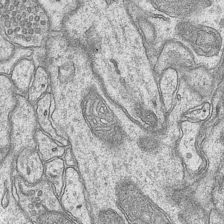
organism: Mouse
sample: CA1 Hippocampus